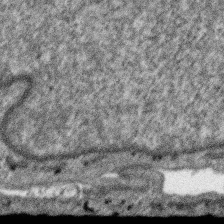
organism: Human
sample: Lung epithelial cells infected with SARS-CoV-2